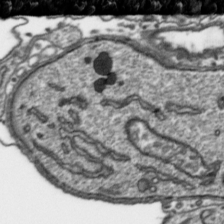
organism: Toxoplasma gondii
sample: Parasites in a vacuole inside a host cell